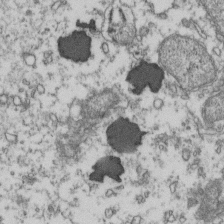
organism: Human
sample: Activated Jurkat CD4+ T cells